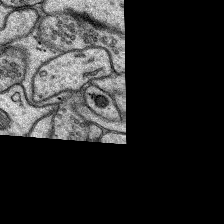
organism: Rat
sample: Hippocampus